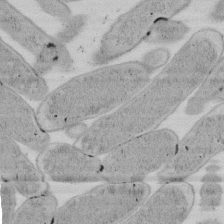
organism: E. coli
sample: Bacterial nucleoid